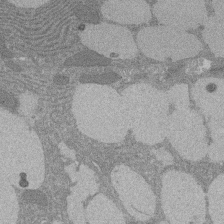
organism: Rat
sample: Salivary granule